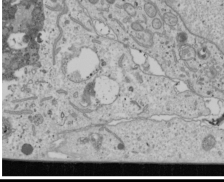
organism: Human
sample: Mitochondria in U2OS cells